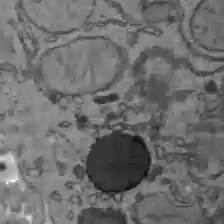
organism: C57BL Mouse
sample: Liver